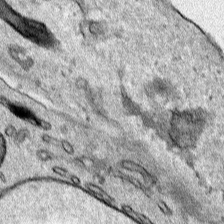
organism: Human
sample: Mitochondria in HCT116 cells